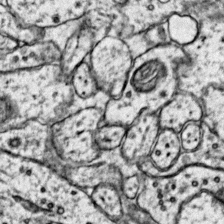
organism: Mouse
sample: Primary visual cortex